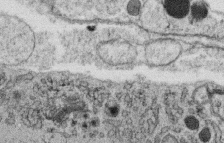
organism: C. elegans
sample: C. elegans oocyte; sperm cells